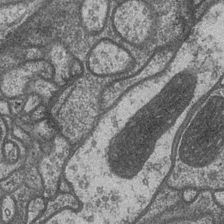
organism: Drosophila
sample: Optic medulla